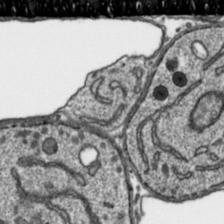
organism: Toxoplasma gondii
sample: Parasites in a vacuole inside a host cell